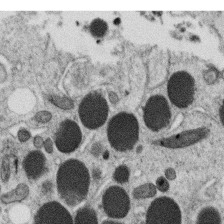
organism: C. elegans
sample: C. elegans oocyte; sperm cells